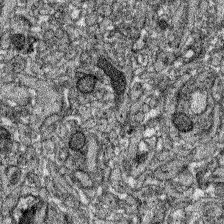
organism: Zebrafish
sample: Larval olfactory bulb